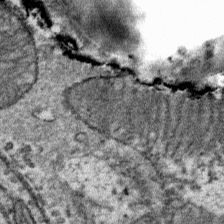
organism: Mouse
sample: Mouse Salivary gland